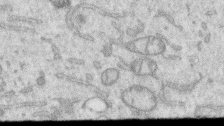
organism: Human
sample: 1205lu cells